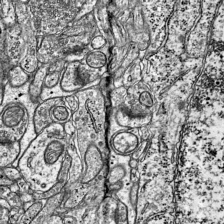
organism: Mouse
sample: Visual Cortex